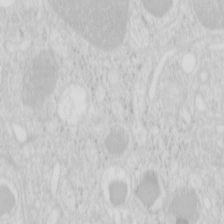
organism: Mouse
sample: Pancreas